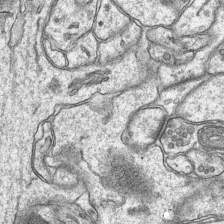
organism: Mouse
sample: CA1 Hippocampus